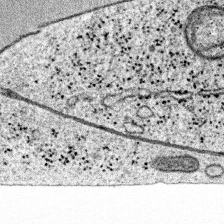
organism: Human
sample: HeLa cells